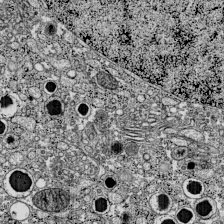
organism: C57BL Mouse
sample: Pancreatic islet